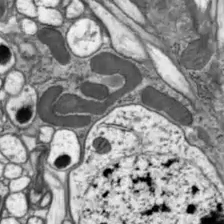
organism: Drosophila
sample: Optic lobe